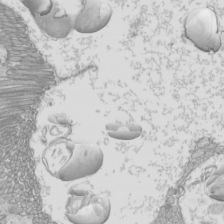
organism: Mouse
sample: Cilia; mouse epididymis